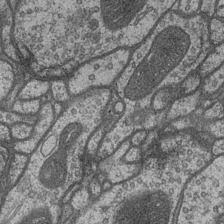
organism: Drosophila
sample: Optic medulla